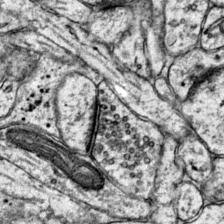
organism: Mouse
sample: Primary visual cortex